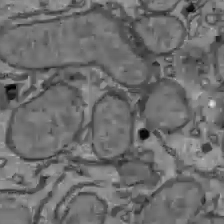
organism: C57BL Mouse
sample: Liver